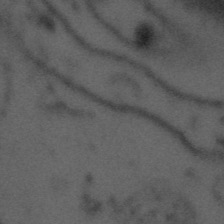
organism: Tuwongella immobilis